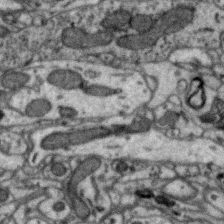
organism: Zebra finch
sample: Brain